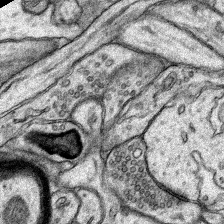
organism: Rat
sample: Hippocampus